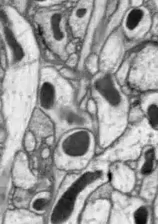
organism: Drosophila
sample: Optic lobe